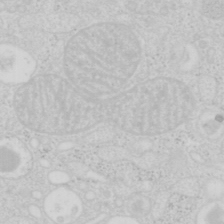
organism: Mouse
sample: Pancreas